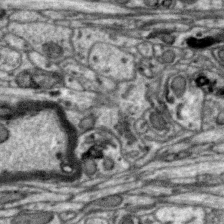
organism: Zebra finch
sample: Brain